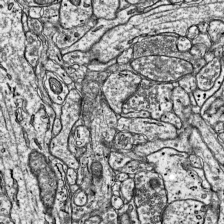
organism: Mouse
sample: Visual Cortex